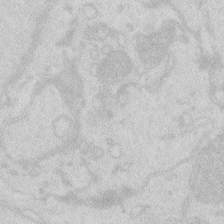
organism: Zebrafish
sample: Macrophage